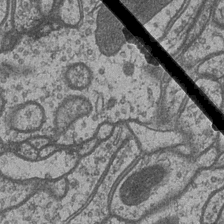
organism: Drosophila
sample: Optic medulla